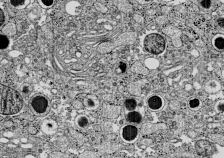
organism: C57BL Mouse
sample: Pancreatic islet